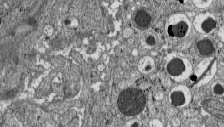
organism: C57BL Mouse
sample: Pancreatic islet